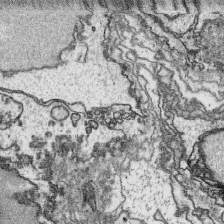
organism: Platynereis dumerilii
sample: Parapodia